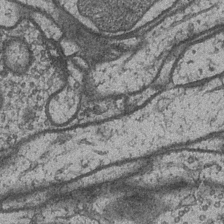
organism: Drosophila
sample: Optic medulla